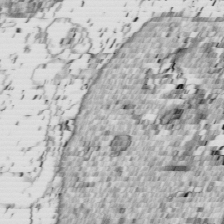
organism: Drosophila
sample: Cell division; meiosis; drosophila spermatocytes